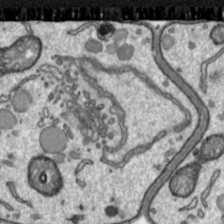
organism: Toxoplasma gondii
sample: Parasites in a vacuole inside a host cell